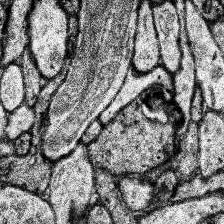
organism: Human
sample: Temporal Lobe